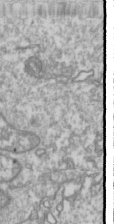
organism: Drosophila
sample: Cell division; meiosis; drosophila spermatocytes